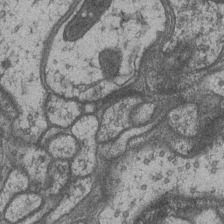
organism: Drosophila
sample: Optic medulla